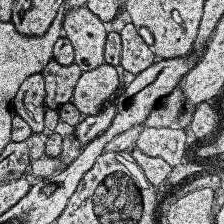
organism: Human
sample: Temporal Lobe